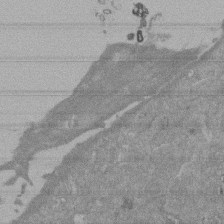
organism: Mouse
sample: ED-1 cell nuclei; centrioles